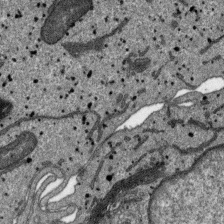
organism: Human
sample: Lung epithelial cells, uninfected (mock) control